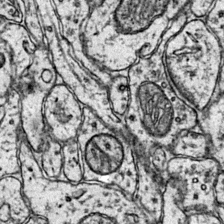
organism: Mouse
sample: Primary visual cortex